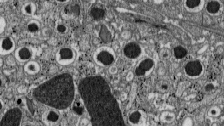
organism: C57BL Mouse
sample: Pancreatic islet